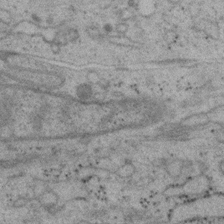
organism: Human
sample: HeLa cells